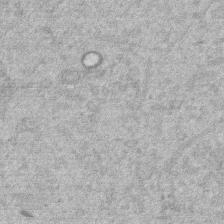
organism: Mouse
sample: Dividing mouse embryo 1 cell stage